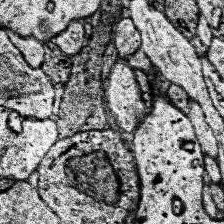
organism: Human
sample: Temporal Lobe